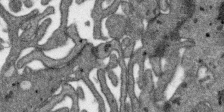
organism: Human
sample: Lung epithelial cells, uninfected (mock) control